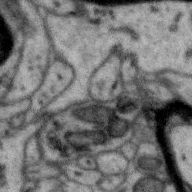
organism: Zebra finch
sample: Brain